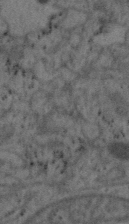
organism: Human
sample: HeLa cells